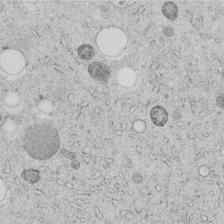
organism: C. elegans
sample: C. elegans embryo early stage